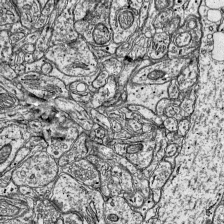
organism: Mouse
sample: Visual Cortex